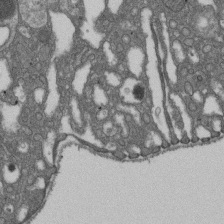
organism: Drosophila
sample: Nephrocyte